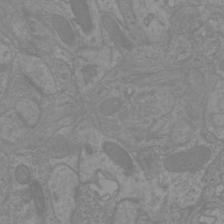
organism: Mouse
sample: Cortical neurons